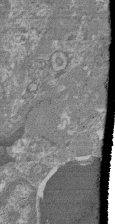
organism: Mouse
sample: Glomerulus